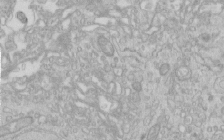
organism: Human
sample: Centriole in RPE cells